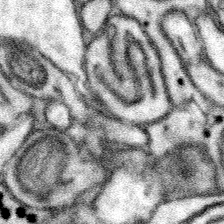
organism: Mouse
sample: Somatosensory cortex neuropil